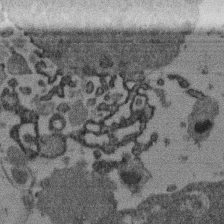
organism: Mouse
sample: Dividing mouse embryo 1 cell stage